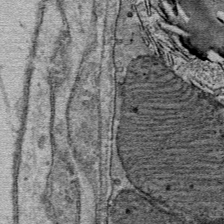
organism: Mouse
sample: Mouse Salivary gland